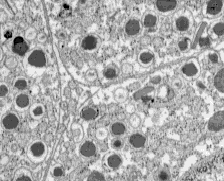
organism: C57BL Mouse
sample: Pancreatic islet